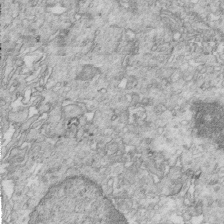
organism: Mouse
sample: Multiciliated cells